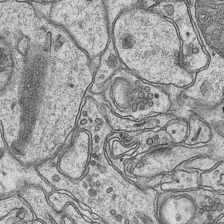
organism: Mouse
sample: CA1 Hippocampus